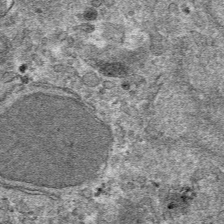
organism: Mouse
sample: Mouse hepatocytes